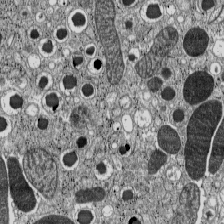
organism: C57BL Mouse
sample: Pancreatic islet